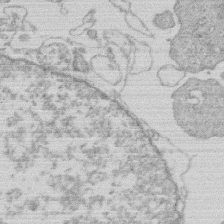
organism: Human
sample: Macrophage cells